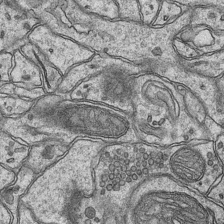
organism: Mouse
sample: CA1 Hippocampus